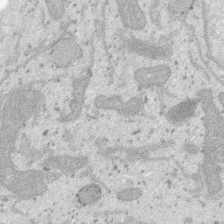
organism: Human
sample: Lung epithelial cells infected with SARS-CoV-2